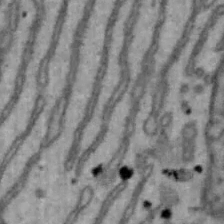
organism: Mouse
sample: Liver